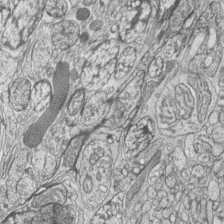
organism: Zebrafish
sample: synaptic ribbons in rod cells and cone cells